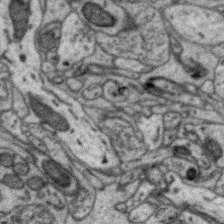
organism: Zebra finch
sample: Brain